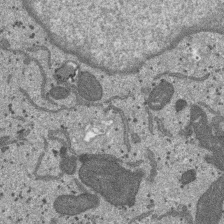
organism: Human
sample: Lung epithelial cells infected with SARS-CoV-2